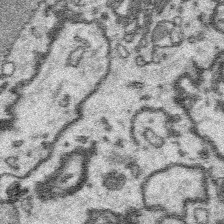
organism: Platynereis dumerilii